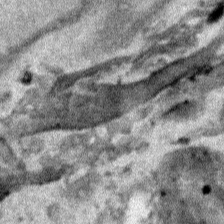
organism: Human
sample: Mitochondria in HCT116 cells